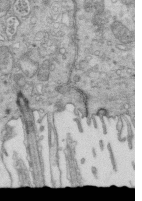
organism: Mouse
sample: Multiciliated cells